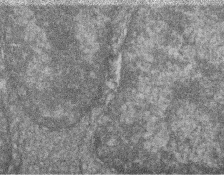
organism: Zebrafish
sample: Cilia; retinal pigment epithelium